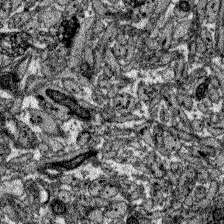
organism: Zebrafish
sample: Larval olfactory bulb